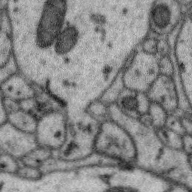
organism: Zebra finch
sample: Brain